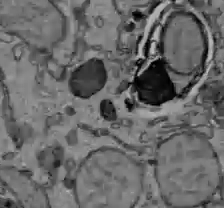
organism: C57BL Mouse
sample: Liver